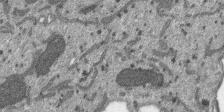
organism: Human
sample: Lung epithelial cells infected with SARS-CoV-2